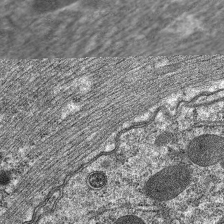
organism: C. elegans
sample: Pharynx